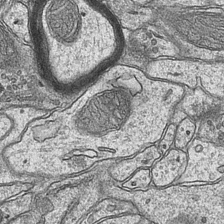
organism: Mouse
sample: CA1 Hippocampus